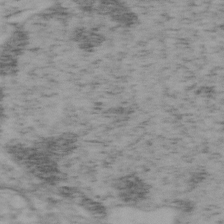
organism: Mouse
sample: OT-I killer T cells with ID8 ovarian cancer cells